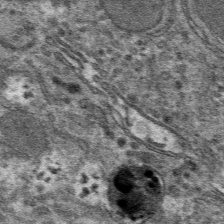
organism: Mouse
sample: Mouse hepatocytes